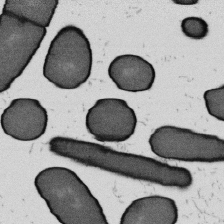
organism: B. subtilis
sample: Bacterial spore